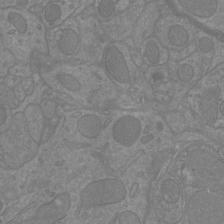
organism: Mouse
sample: Cortical neurons